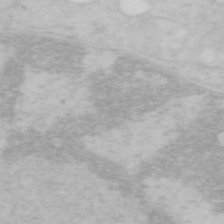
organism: Mouse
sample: OT-I killer T cells with ID8 ovarian cancer cells